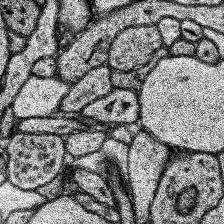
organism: Human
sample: Temporal Lobe